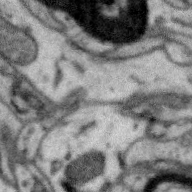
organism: Zebra finch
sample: Brain